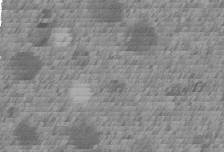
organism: C. elegans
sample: C. elegans embryo early stage